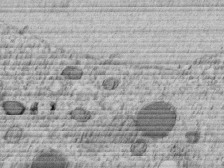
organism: C. elegans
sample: C. elegans embryo early stage